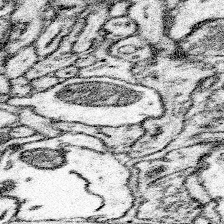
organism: Mouse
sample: Somatosensory cortex neuropil